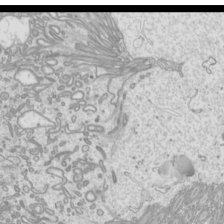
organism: Mouse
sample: Cilia; mouse epididymis